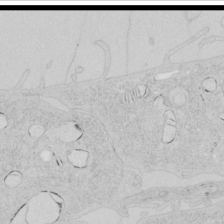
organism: Human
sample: Mitochondria in HCT116 cells